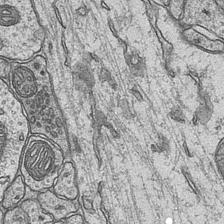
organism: Mouse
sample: CA1 Hippocampus